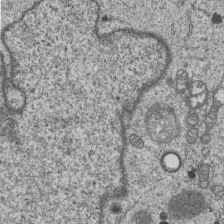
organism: Human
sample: MDA-MB-231 cells